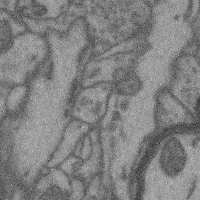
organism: Mouse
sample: Cerebral cortex